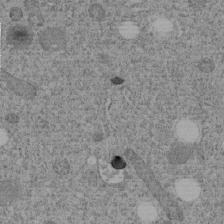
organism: C. elegans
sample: C. elegans embryo early stage